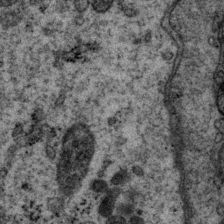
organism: P. pacificus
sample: Pharynx